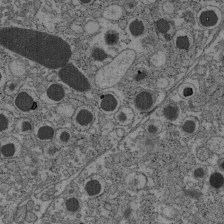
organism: C57BL Mouse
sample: Pancreatic islet